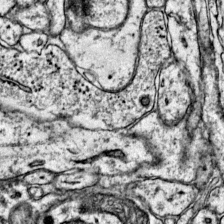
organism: Mouse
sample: Primary visual cortex